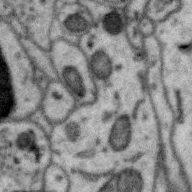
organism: Zebra finch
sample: Brain